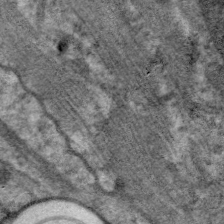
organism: C. elegans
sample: Pharynx